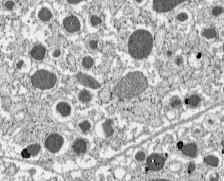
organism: C57BL Mouse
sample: Pancreatic islet